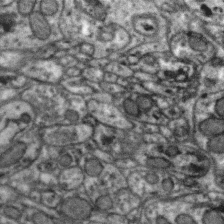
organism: Zebra finch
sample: Brain